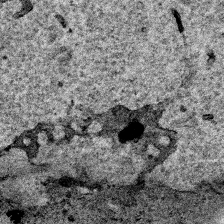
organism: Human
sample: Mitochondria in HCT116 cells